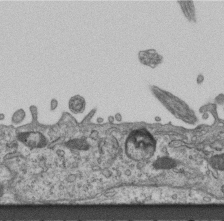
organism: Mouse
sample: Centriole in ependymal cells